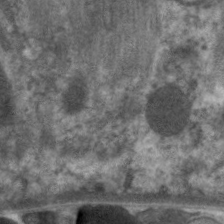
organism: C. elegans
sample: Pharynx